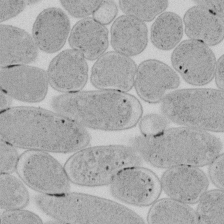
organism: E. coli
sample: Bacterial nucleoid